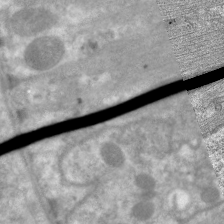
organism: C. elegans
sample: Pharynx